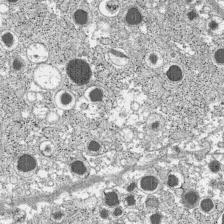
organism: C57BL Mouse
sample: Pancreatic islet